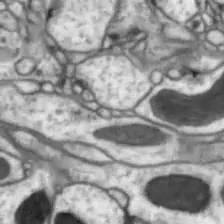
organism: Drosophila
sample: Optic lobe